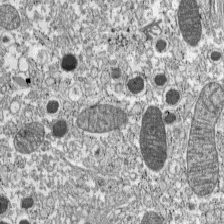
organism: C57BL Mouse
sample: Pancreatic islet